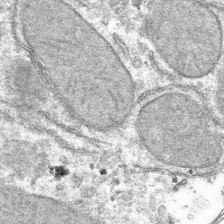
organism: Mouse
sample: Mouse hepatocytes